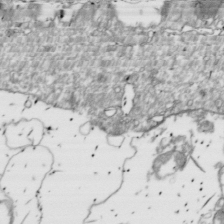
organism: Drosophila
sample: Cell division; meiosis; drosophila spermatocytes